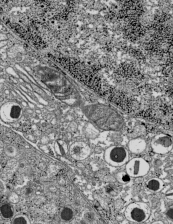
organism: C57BL Mouse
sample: Pancreatic islet